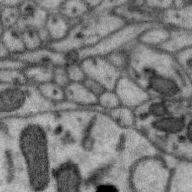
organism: Zebra finch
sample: Brain